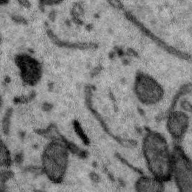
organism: Zebra finch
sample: Brain